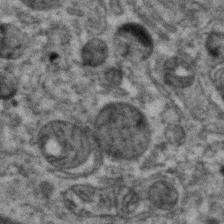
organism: Zebrafish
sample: Zebrafish embryo